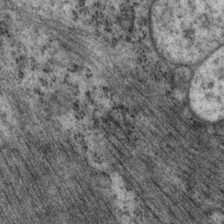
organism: P. pacificus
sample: Pharynx